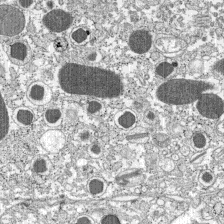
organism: C57BL Mouse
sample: Pancreatic islet